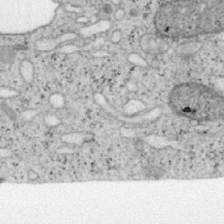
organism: Mouse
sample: OT-I killer T cells with ID8 ovarian cancer cells